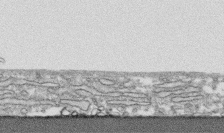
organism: Human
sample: CRL-1474